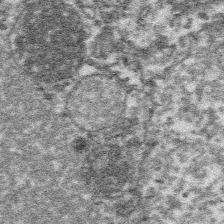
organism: Platynereis dumerilii